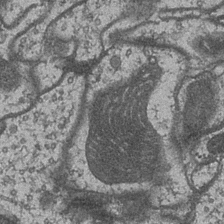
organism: Drosophila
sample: Optic medulla